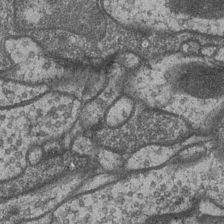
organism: Drosophila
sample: Optic medulla